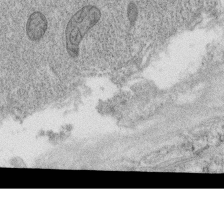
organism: C. elegans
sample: C. elegans oocyte; sperm cells